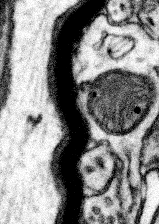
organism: Mouse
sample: Somatosensory cortex neuropil